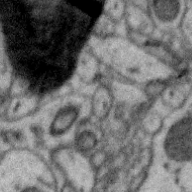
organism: Zebra finch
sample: Brain